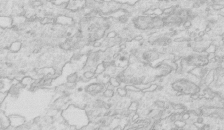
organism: Mouse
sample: Multiciliated cells